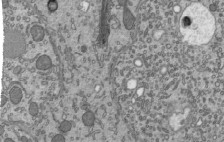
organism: Mouse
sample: Mouse epididymis efferent ductule cilia